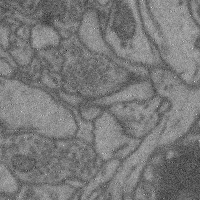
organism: Mouse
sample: Cerebral cortex